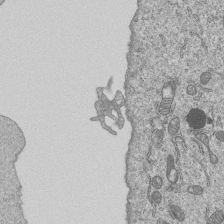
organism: Human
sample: MDA-MB-231 cells